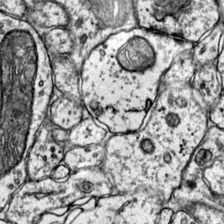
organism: Mouse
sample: Primary visual cortex